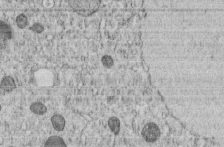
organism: C. elegans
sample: C. elegans embryo early stage